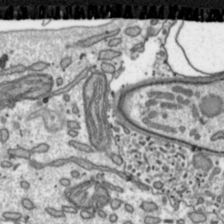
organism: Toxoplasma gondii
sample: Parasites in a vacuole inside a host cell